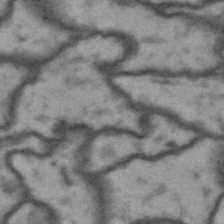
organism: Drosophila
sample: Brain